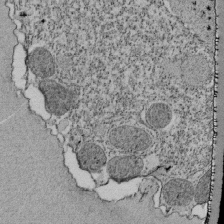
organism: Tetrahymena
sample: Cilia in tetrahymena